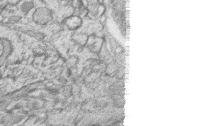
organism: Zebrafish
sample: synaptic ribbons in rod cells and cone cells